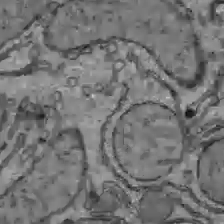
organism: C57BL Mouse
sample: Liver